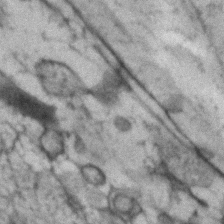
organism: Human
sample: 1205lu cells